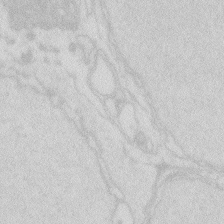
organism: Zebrafish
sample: Macrophage